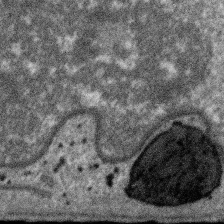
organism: Human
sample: Lung epithelial cells infected with SARS-CoV-2